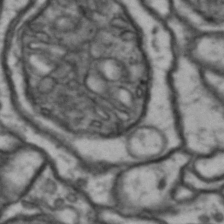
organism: Drosophila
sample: Brain